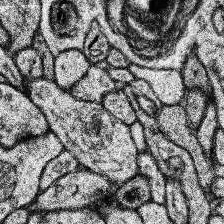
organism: Human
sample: Temporal Lobe